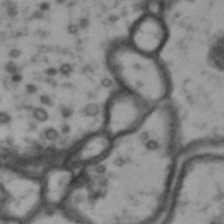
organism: Drosophila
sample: Brain